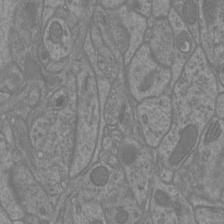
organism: Mouse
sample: Cortical neurons